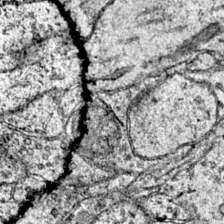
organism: Mouse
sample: Primary visual cortex